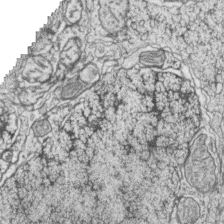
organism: Zebrafish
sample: synaptic ribbons in rod cells and cone cells